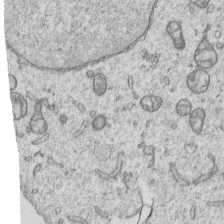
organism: Human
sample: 1205lu cells